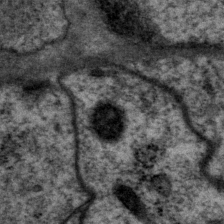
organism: P. pacificus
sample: Pharynx